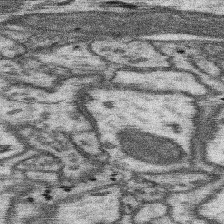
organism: Mouse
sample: Somatosensory cortex neuropil